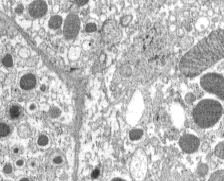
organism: C57BL Mouse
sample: Pancreatic islet